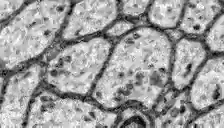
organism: Zebrafish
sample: Brain